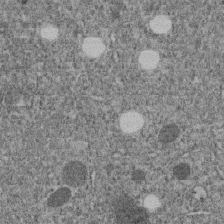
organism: C. elegans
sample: C. elegans embryo early stage